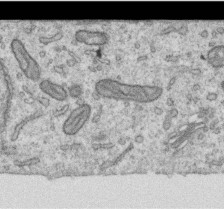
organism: Human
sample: Centriole in RPE cells